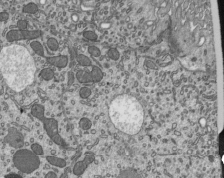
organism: Mouse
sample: Mouse epididymis efferent ductule cilia